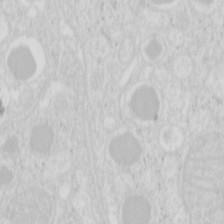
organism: Mouse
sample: Pancreas